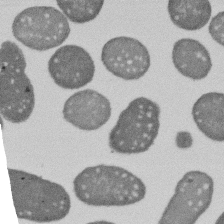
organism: E. coli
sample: Bacterial nucleoid